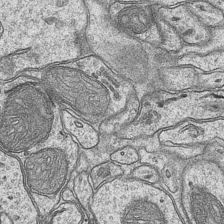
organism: Mouse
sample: CA1 Hippocampus